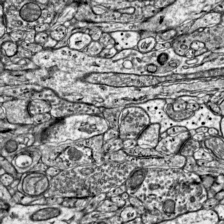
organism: Mouse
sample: Visual Cortex